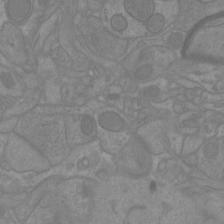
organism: Mouse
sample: Cortical neurons